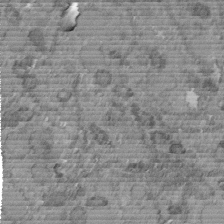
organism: C. elegans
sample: C. elegans embryo early stage